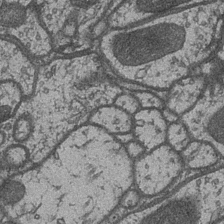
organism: Drosophila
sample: Optic medulla